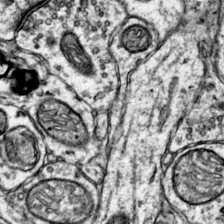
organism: Mouse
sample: Primary visual cortex